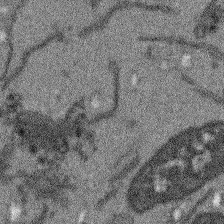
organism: Arabidopsis thaliana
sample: Root tip